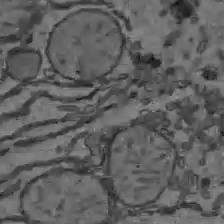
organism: C57BL Mouse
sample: Liver